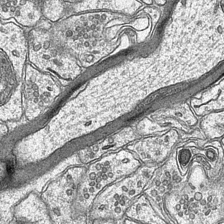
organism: Mouse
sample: CA1 Hippocampus